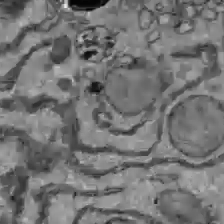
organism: C57BL Mouse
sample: Liver